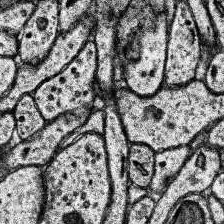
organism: Human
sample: Temporal Lobe